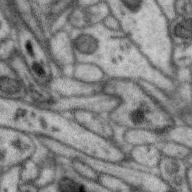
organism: Zebra finch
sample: Brain